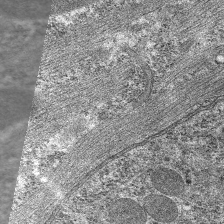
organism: C. elegans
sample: Pharynx